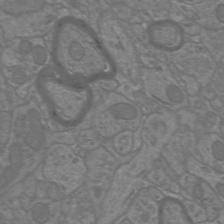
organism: Mouse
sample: Cortical neurons